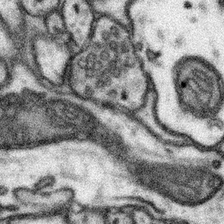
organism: Mouse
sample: Somatosensory cortex neuropil